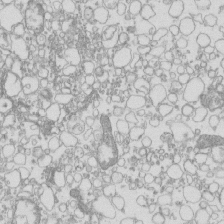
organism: Mouse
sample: Macrophages